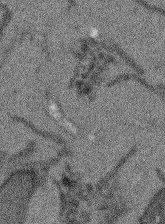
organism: Arabidopsis thaliana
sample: Root tip